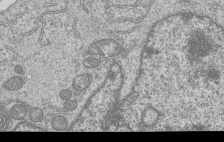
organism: Human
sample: MDA-MB-231 cells